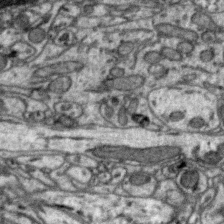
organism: Zebra finch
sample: Brain